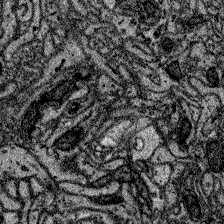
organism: Zebrafish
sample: Larval olfactory bulb